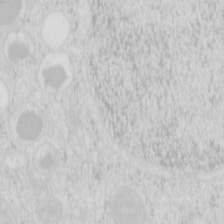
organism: Mouse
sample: Pancreas